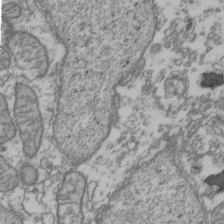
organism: Human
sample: Activated Jurkat CD4+ T cells